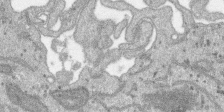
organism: Human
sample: Lung epithelial cells infected with SARS-CoV-2